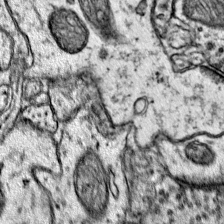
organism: Mouse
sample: Primary visual cortex